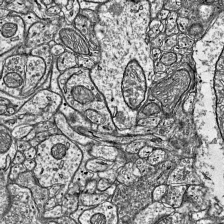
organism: Mouse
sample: Visual Cortex